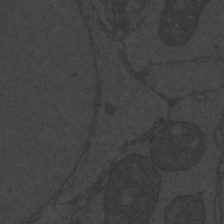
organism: Zebrafish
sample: Macrophage infected with Toxoplasma gondii